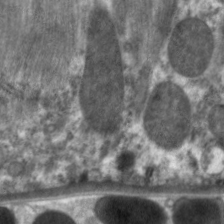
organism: C. elegans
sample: Pharynx